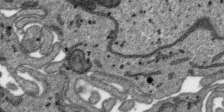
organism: Human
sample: Lung epithelial cells, uninfected (mock) control